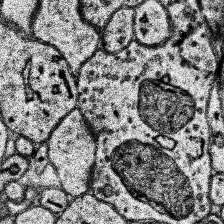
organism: Human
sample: Temporal Lobe